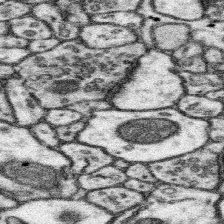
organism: Mouse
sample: Somatosensory cortex neuropil